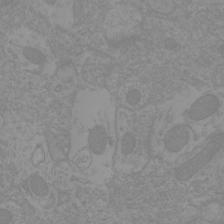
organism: Mouse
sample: Cortical neurons